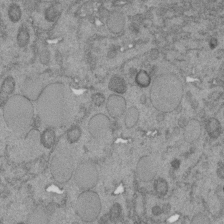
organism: C. elegans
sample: C. elegans embryo early stage